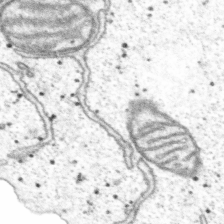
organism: Human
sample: HeLa cells